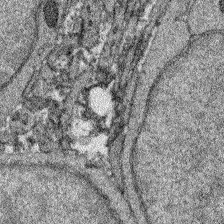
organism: Zebrafish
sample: Larval olfactory bulb